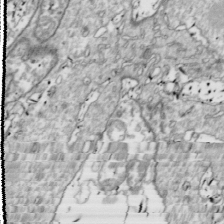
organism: Drosophila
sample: Cell division; meiosis; drosophila spermatocytes